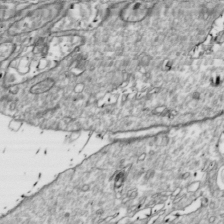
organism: Drosophila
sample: Cell division; meiosis; drosophila spermatocytes